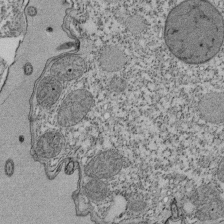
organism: Tetrahymena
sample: Cilia in tetrahymena